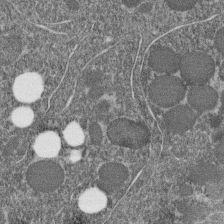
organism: C. elegans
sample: C. elegans embryo early stage